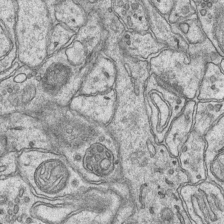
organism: Mouse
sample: CA1 Hippocampus